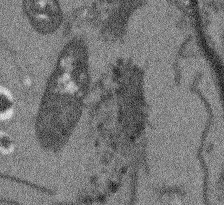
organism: Arabidopsis thaliana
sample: Root tip